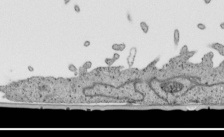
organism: Human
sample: Mitochondria in HCT116 cells